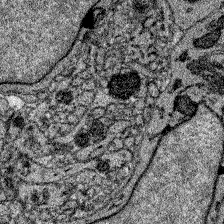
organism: Zebrafish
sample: Larval olfactory bulb